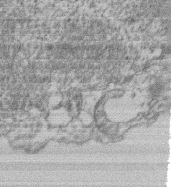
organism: Mouse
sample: T cell stromal cell synapse